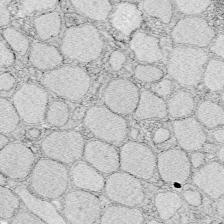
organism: Zebrafish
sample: Whole-Brain